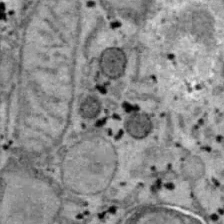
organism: Mouse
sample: Liver from an obese (ob/ob) mouse